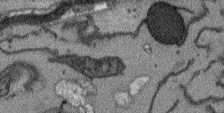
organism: Arabidopsis thaliana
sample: Root tip